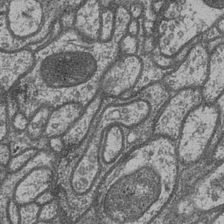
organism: Drosophila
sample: Optic medulla